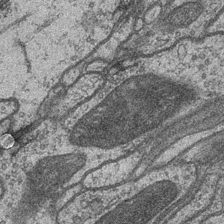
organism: Drosophila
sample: Optic medulla